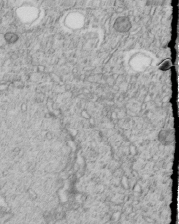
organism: C. elegans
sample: C. elegans embryo early stage